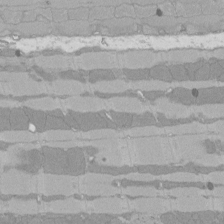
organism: Rat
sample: Left ventricle